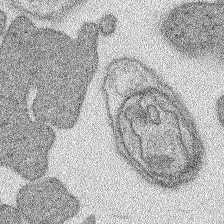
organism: Human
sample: HeLa cells